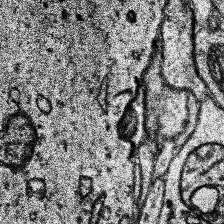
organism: Human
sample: Temporal Lobe